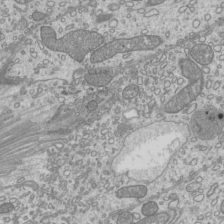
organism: Mouse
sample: Cilia; mouse epididymis